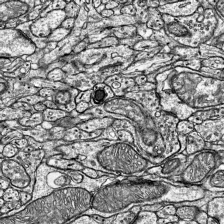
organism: Mouse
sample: Visual Cortex